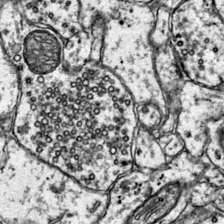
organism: Mouse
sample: Primary visual cortex